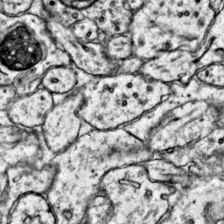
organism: Mouse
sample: Primary visual cortex